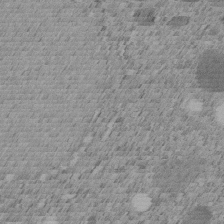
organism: C. elegans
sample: C. elegans embryo early stage